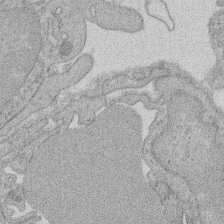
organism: Rat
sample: Salivary granule